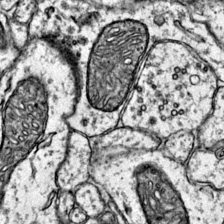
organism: Mouse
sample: Primary visual cortex